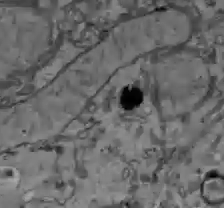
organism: C57BL Mouse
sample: Liver